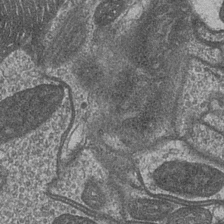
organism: Drosophila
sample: Optic medulla